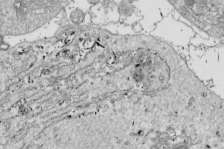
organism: Drosophila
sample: Cell division; meiosis; drosophila spermatocytes